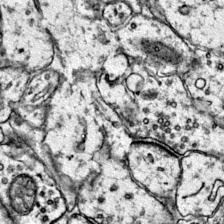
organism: Mouse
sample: Primary visual cortex